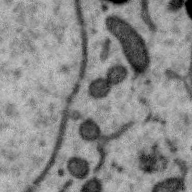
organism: Zebra finch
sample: Brain